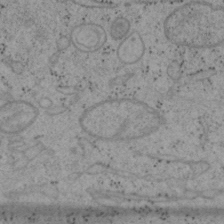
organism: Human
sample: HeLa cells